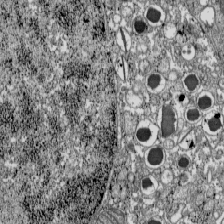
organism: C57BL Mouse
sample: Pancreatic islet